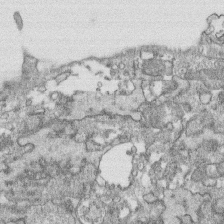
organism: Human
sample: CRL-1474